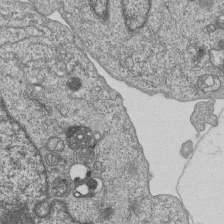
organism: Human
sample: MDA-MB-231 cells